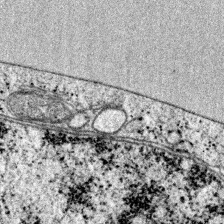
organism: Human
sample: HeLa cells